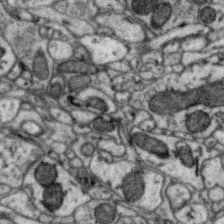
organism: Zebra finch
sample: Brain